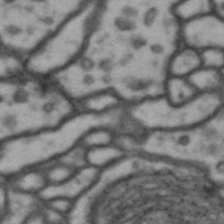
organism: Drosophila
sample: Brain